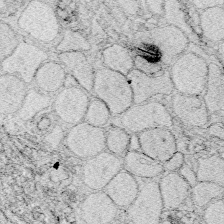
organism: Zebrafish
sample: Whole-Brain